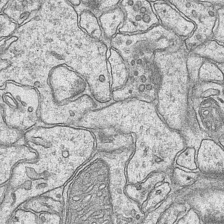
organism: Mouse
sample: CA1 Hippocampus